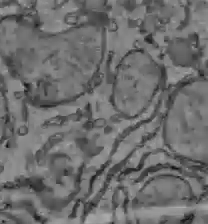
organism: C57BL Mouse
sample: Liver